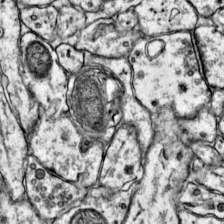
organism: Mouse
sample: Primary visual cortex